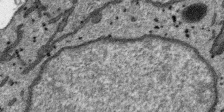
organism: Human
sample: Lung epithelial cells, uninfected (mock) control